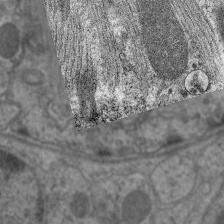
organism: C. elegans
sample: Pharynx